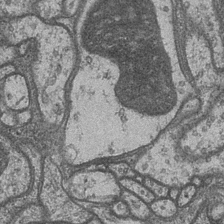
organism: Drosophila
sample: Optic medulla